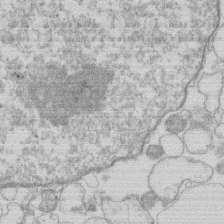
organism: Human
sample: Macrophage cells